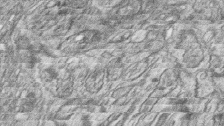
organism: Zebrafish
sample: synaptic ribbons in rod cells and cone cells